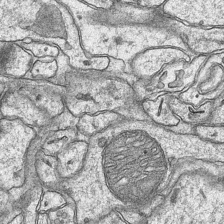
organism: Mouse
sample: CA1 Hippocampus